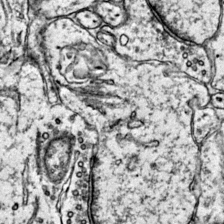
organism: Mouse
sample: Primary visual cortex